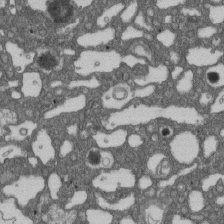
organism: Drosophila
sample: Nephrocyte